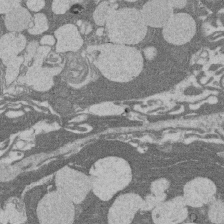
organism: Rat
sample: Salivary granule